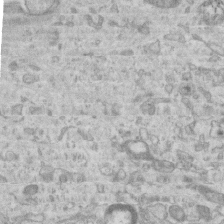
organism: Mouse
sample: Centriole in ependymal cells